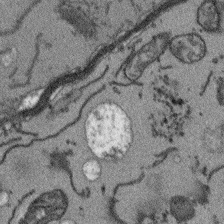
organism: Arabidopsis thaliana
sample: Root tip